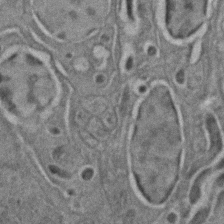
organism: C. elegans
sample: C. elegans embryo